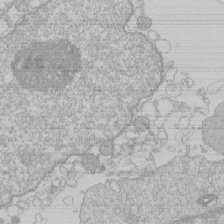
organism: Human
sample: Macrophage cells